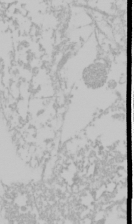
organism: Mouse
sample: Cancer cell death in ED-1 cells